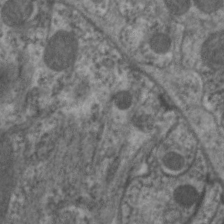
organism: C. elegans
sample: Pharynx